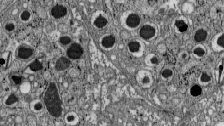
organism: C57BL Mouse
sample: Pancreatic islet